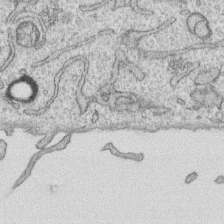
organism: Human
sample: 1205lu cells